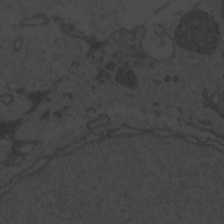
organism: Zebrafish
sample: Macrophage infected with Toxoplasma gondii